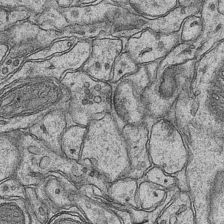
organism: Mouse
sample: CA1 Hippocampus